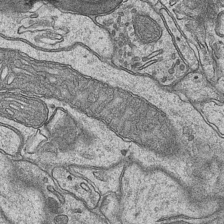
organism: Mouse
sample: CA1 Hippocampus